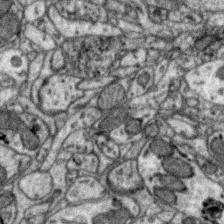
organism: Zebra finch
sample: Brain